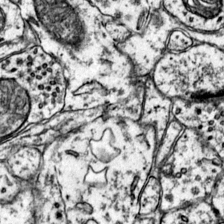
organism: Mouse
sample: Primary visual cortex